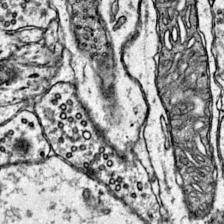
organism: Mouse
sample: Primary visual cortex